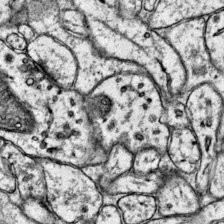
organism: Mouse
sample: Primary visual cortex